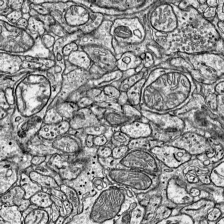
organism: Mouse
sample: Visual Cortex